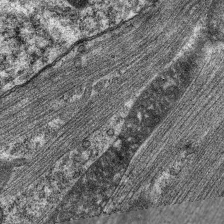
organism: C. elegans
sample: Pharynx